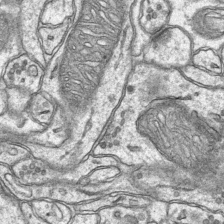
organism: Mouse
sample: CA1 Hippocampus